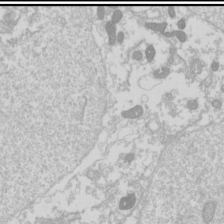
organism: Drosophila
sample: Cell division; meiosis; drosophila spermatocytes